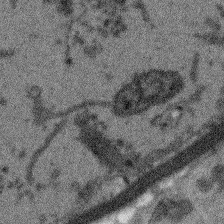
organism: Arabidopsis thaliana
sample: Root tip